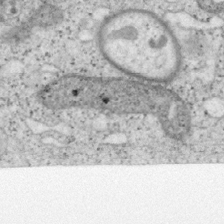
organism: Mouse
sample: OT-I killer T cells with ID8 ovarian cancer cells